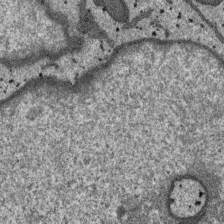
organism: Human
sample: Lung epithelial cells, uninfected (mock) control